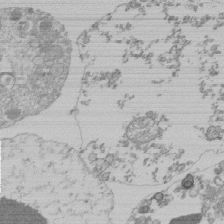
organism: Mouse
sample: Activated Pmel transgenic CD8+ T Cells